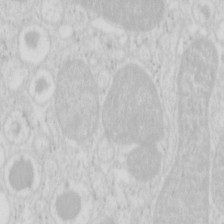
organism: Mouse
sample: Pancreas